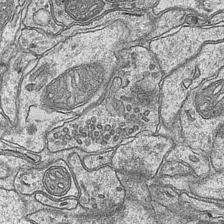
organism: Mouse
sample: CA1 Hippocampus